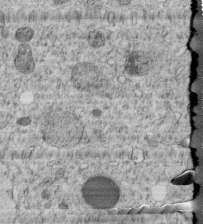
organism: C. elegans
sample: C. elegans embryo early stage